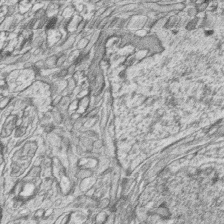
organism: Zebrafish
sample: synaptic ribbons in rod cells and cone cells